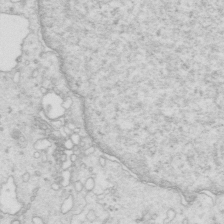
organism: Mouse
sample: Multiciliated cells